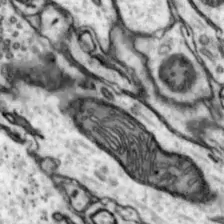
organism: Mouse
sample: Nucleus accumbens